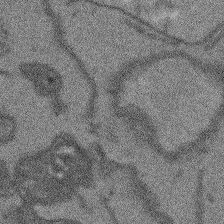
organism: Arabidopsis thaliana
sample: Root tip